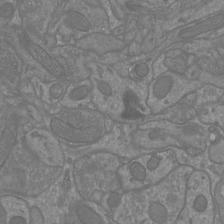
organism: Mouse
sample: Cortical neurons